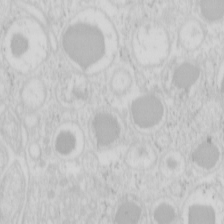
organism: Mouse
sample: Pancreas